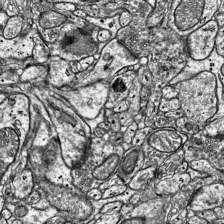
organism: Mouse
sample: Visual Cortex